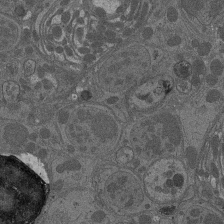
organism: Drosophila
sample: Antenna